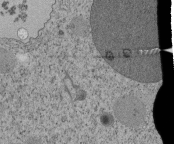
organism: Tetrahymena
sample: Cilia in tetrahymena